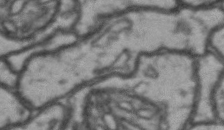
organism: Drosophila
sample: Brain